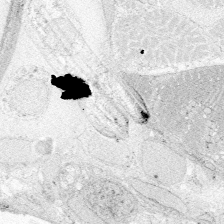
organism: Zebrafish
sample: Whole-Brain